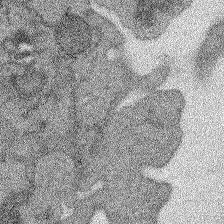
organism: Human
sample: HeLa cells